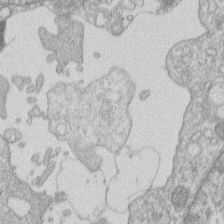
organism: Human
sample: Macrophage cells